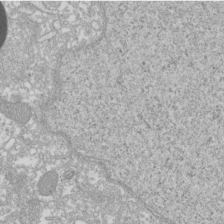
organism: Xenopus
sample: Cilia; centrioles in frog embryo cells